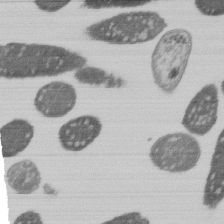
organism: E. coli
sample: Bacterial nucleoid